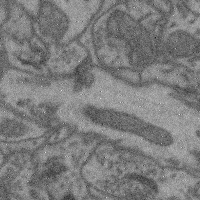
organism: Mouse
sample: Cerebral cortex